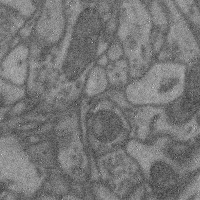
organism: Mouse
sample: Cerebral cortex